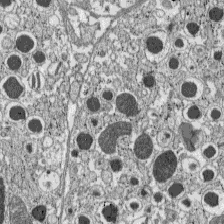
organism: C57BL Mouse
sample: Pancreatic islet